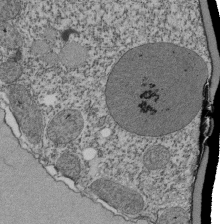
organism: Tetrahymena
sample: Cilia in tetrahymena